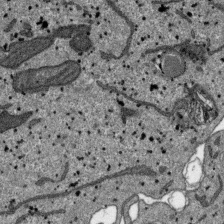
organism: Human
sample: Lung epithelial cells, uninfected (mock) control